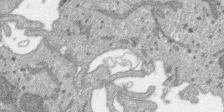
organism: Human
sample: Lung epithelial cells infected with SARS-CoV-2